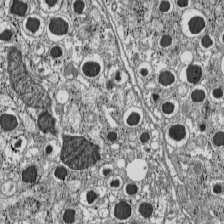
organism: C57BL Mouse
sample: Pancreatic islet